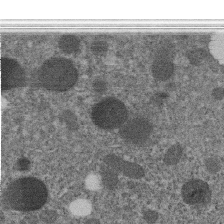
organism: C. elegans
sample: C. elegans embryo early stage